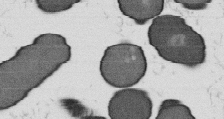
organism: B. subtilis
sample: Bacterial spore